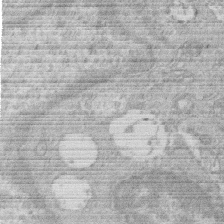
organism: Human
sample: Macrophage cells